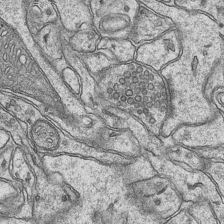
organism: Mouse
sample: CA1 Hippocampus